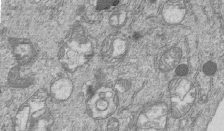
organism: Human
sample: MDA-MB-231 cells